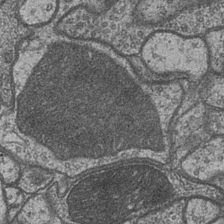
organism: Drosophila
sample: Optic medulla